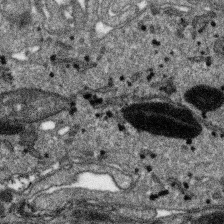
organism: Human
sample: Lung epithelial cells infected with SARS-CoV-2